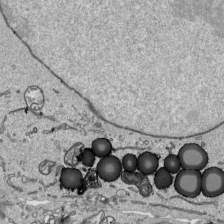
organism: Human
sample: Mitochondria in HCT116 cells